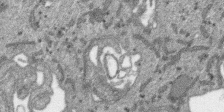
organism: Human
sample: Lung epithelial cells infected with SARS-CoV-2